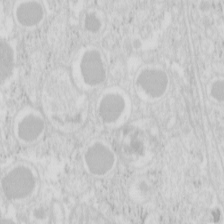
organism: Mouse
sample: Pancreas